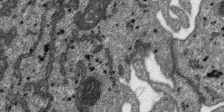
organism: Human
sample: Lung epithelial cells infected with SARS-CoV-2